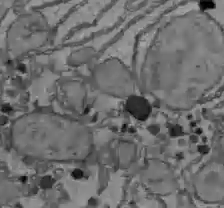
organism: C57BL Mouse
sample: Liver